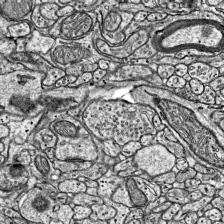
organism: Mouse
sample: Visual Cortex